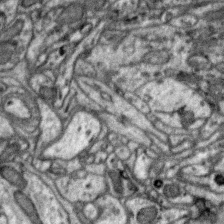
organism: Zebra finch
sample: Brain